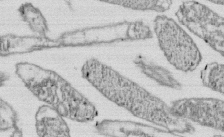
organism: E. coli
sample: Bacterial nucleoid